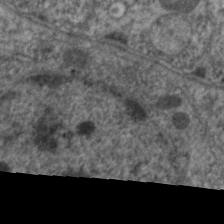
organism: C. elegans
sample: Pharynx